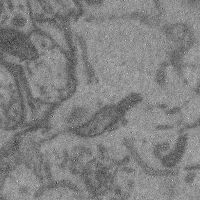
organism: Mouse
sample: Cerebral cortex